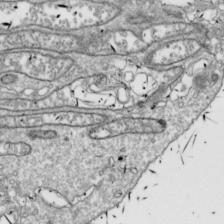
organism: Drosophila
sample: Cell division; meiosis; drosophila spermatocytes